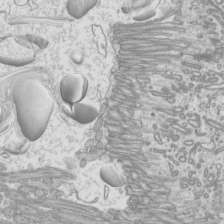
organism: Mouse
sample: Cilia; mouse epididymis